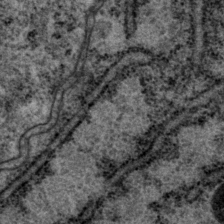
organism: P. pacificus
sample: Pharynx